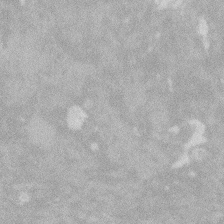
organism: Zebrafish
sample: Macrophage